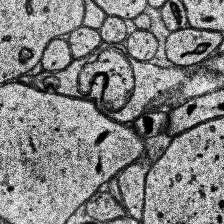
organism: Human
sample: Temporal Lobe